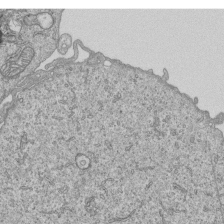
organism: Human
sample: MDA-MB-231 cells